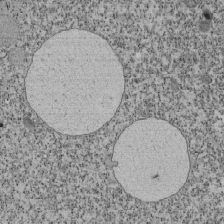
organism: Tetrahymena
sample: Cilia in tetrahymena